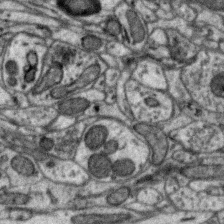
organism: Zebra finch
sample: Brain